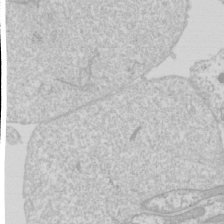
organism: Drosophila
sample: Cell division; meiosis; drosophila spermatocytes